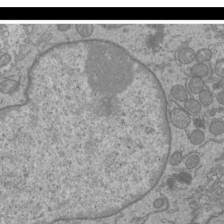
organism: Mouse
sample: Cilia; mouse epididymis